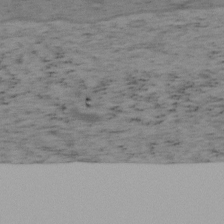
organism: Mouse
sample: OT-I killer T cells with ID8 ovarian cancer cells